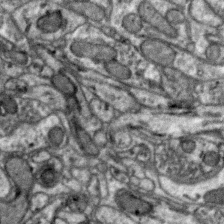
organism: Zebra finch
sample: Brain